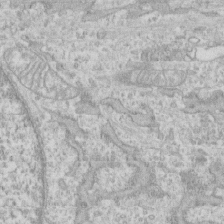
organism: Human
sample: CRL-1474